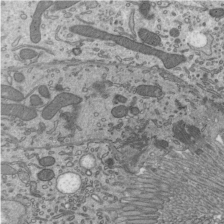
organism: Mouse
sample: Mouse epididymis efferent ductule cilia